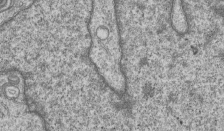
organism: Human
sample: MDA-MB-231 cells